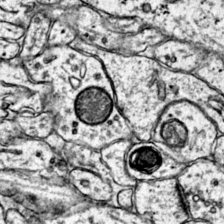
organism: Mouse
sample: Primary visual cortex